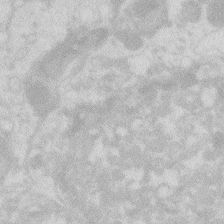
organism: Zebrafish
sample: Macrophage